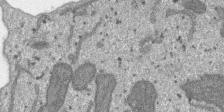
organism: Human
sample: Lung epithelial cells infected with SARS-CoV-2